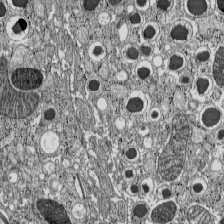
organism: C57BL Mouse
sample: Pancreatic islet